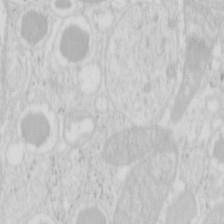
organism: Mouse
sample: Pancreas